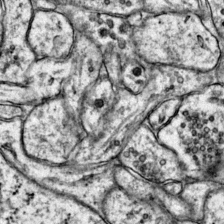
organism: Mouse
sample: Primary visual cortex